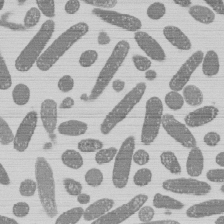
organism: E. coli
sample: Bacterial nucleoid